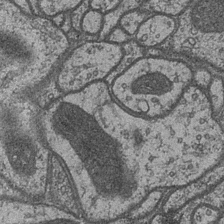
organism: Drosophila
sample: Optic medulla